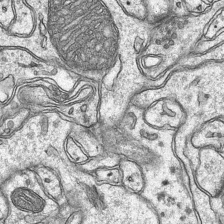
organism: Mouse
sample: CA1 Hippocampus